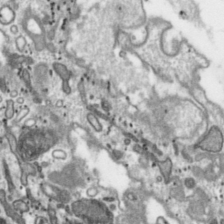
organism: Toxoplasma gondii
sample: Parasites in a vacuole inside a host cell